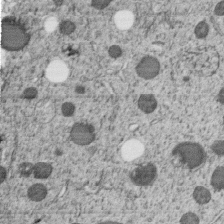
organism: C. elegans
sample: C. elegans embryo early stage